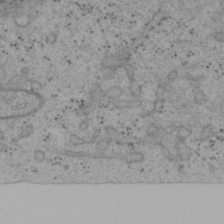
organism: Human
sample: HeLa cells